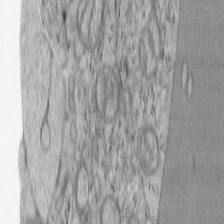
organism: Human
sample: HeLa cells